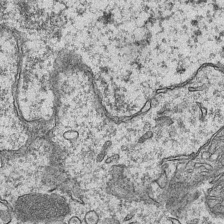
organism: Mouse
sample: CA1 Hippocampus